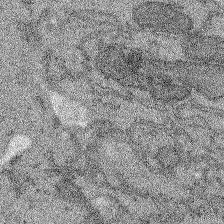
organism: Human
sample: HeLa cells